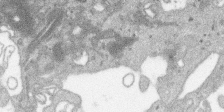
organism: Human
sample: Lung epithelial cells infected with SARS-CoV-2